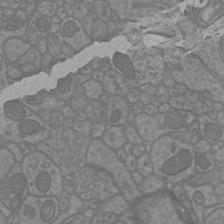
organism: Mouse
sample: Cortical neurons